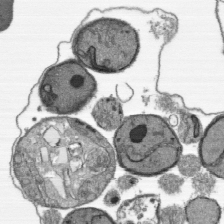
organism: Plasmodium falciparum